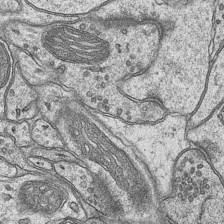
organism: Mouse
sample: CA1 Hippocampus